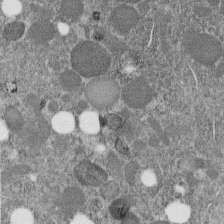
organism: C. elegans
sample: C. elegans embryo early stage